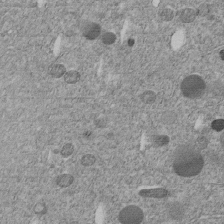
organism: C. elegans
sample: C. elegans embryo early stage